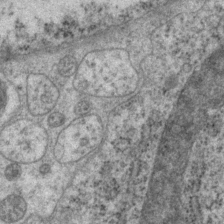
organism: P. pacificus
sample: Pharynx